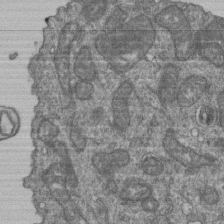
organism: Human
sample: Retinal organoid Rod and Cone cells